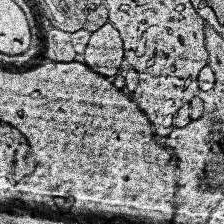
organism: Human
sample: Temporal Lobe